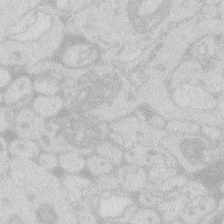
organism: Zebrafish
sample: Macrophage